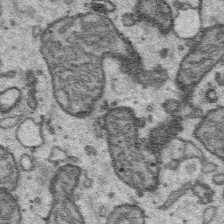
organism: Platynereis dumerilii